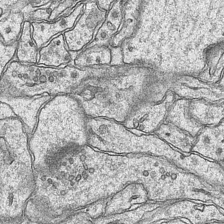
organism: Mouse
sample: CA1 Hippocampus